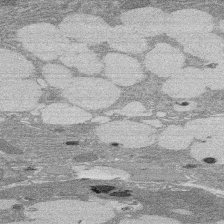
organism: Rat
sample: Salivary granule